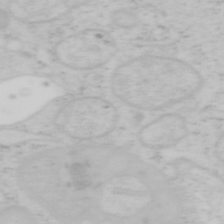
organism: Mouse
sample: OT-I killer T cells with ID8 ovarian cancer cells